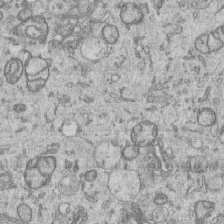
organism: Human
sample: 1205lu cells